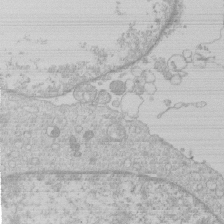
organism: Human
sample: Macrophage cells